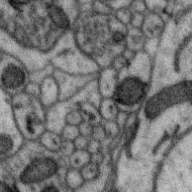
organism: Zebra finch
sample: Brain